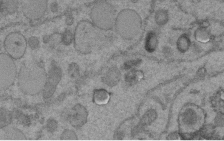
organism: C. elegans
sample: C. elegans embryo early stage